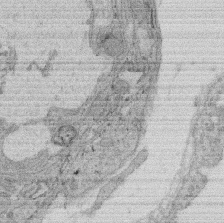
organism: Rat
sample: Salivary granule